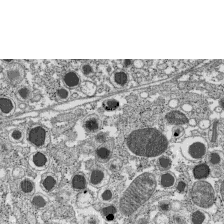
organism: C57BL Mouse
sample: Pancreatic islet